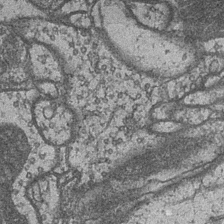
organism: Drosophila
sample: Optic medulla